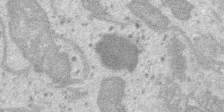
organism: Human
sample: Lung epithelial cells infected with SARS-CoV-2